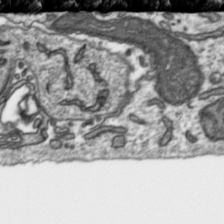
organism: Toxoplasma gondii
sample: Parasites in a vacuole inside a host cell